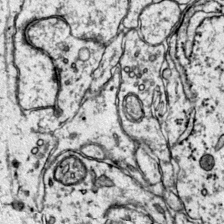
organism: Mouse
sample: Primary visual cortex